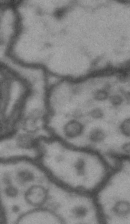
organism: Drosophila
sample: Brain